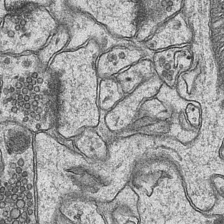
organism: Mouse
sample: CA1 Hippocampus